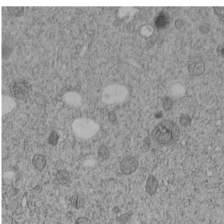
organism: C. elegans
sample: C. elegans embryo early stage